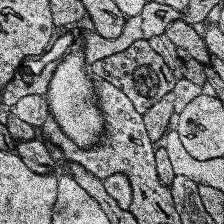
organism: Human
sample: Temporal Lobe